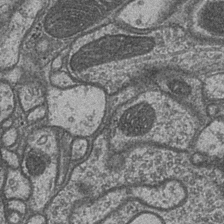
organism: Drosophila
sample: Optic medulla